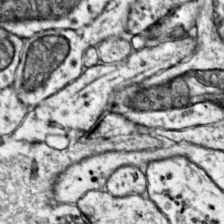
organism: Mouse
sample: Primary visual cortex